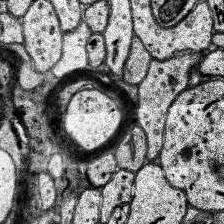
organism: Human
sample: Temporal Lobe